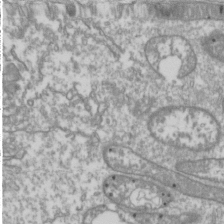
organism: Drosophila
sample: Cell division; meiosis; drosophila spermatocytes